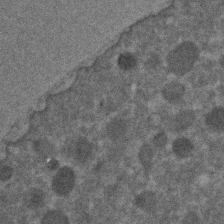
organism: C. elegans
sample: C. elegans embryo